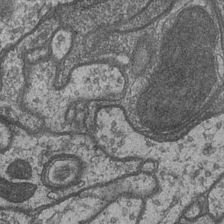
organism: Drosophila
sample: Optic medulla